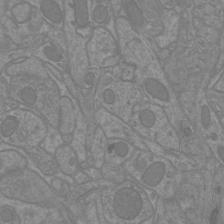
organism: Mouse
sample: Cortical neurons